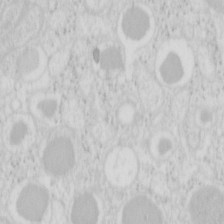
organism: Mouse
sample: Pancreas